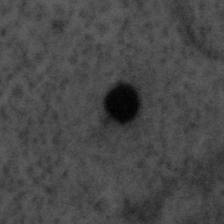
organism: Tuwongella immobilis